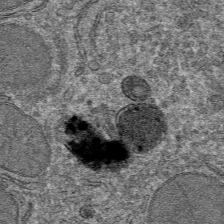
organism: Mouse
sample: Mouse hepatocytes